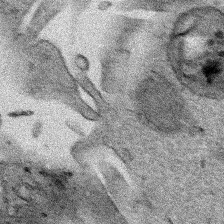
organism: Human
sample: Mitochondria in HCT116 cells